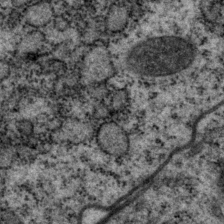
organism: P. pacificus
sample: Pharynx